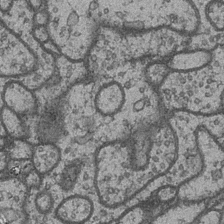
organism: Drosophila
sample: Optic medulla